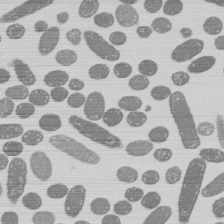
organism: E. coli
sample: Bacterial nucleoid